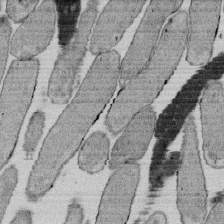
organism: E. coli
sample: Bacterial nucleoid